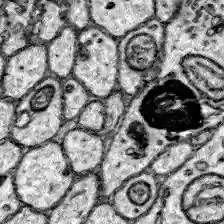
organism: Zebrafish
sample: Brain